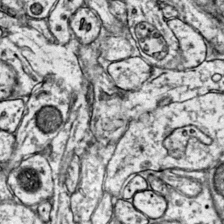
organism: Mouse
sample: Primary visual cortex